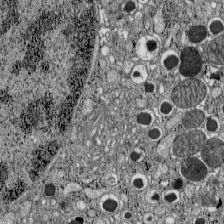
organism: C57BL Mouse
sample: Pancreatic islet